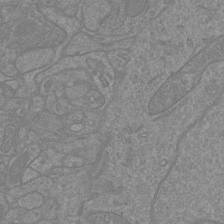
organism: Mouse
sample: Cortical neurons